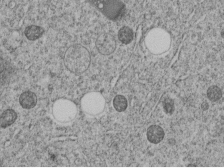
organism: C. elegans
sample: C. elegans embryo early stage